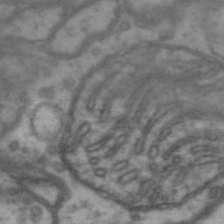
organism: Drosophila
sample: Brain